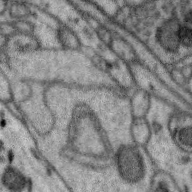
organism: Zebra finch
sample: Brain